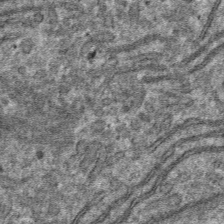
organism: Mouse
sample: Mouse hepatocytes